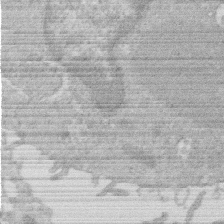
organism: Human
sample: Macrophage cells